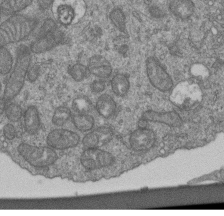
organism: Human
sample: Retinal organoid Rod and Cone cells